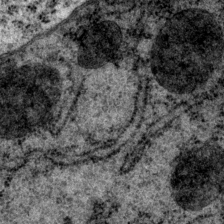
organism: P. pacificus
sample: Pharynx